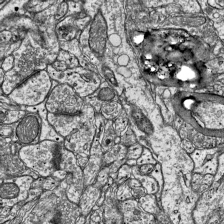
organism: Mouse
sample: Visual Cortex